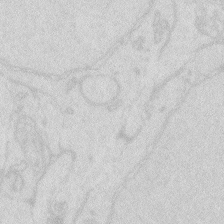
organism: Zebrafish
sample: Macrophage